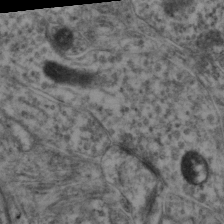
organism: Mouse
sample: Neocortex